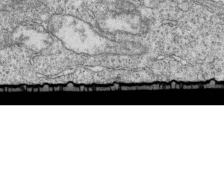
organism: Human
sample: HeLa cell HIV synapse